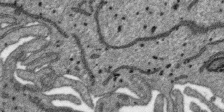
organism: Human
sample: Lung epithelial cells, uninfected (mock) control